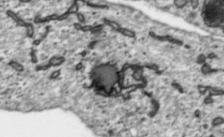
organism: Toxoplasma gondii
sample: Parasites in a vacuole inside a host cell